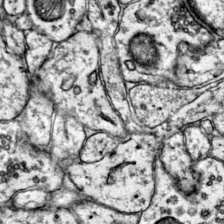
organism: Mouse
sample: Primary visual cortex